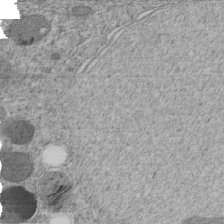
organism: C. elegans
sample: C. elegans embryo early stage